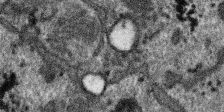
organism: Human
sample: Lung epithelial cells infected with SARS-CoV-2